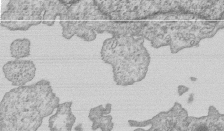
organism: Human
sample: MDA-MB-231 cells